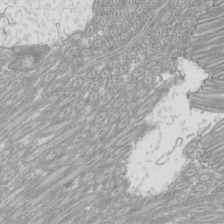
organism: Mouse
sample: Cilia; mouse epididymis